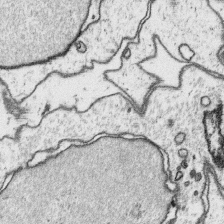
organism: Platynereis dumerilii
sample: Parapodia